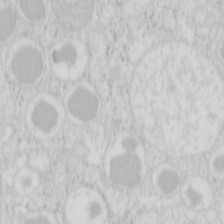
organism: Mouse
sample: Pancreas